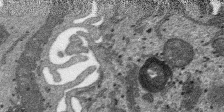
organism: Human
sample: Lung epithelial cells infected with SARS-CoV-2